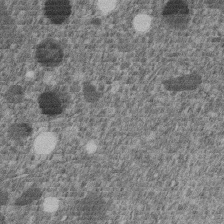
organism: C. elegans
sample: C. elegans embryo early stage